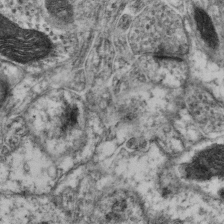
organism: Mouse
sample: Neocortex